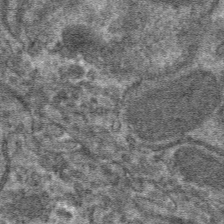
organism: Mouse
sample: Mouse hepatocytes